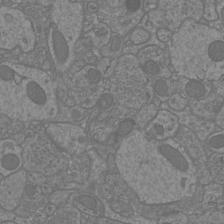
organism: Mouse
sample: Cortical neurons